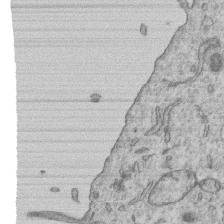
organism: Human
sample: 1205lu cells